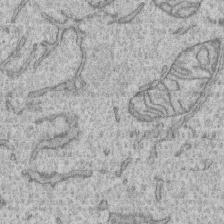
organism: Human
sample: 1205lu cells